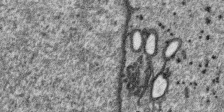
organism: Human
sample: Lung epithelial cells infected with SARS-CoV-2